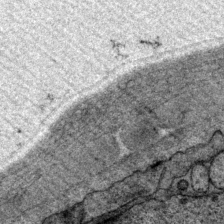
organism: P. pacificus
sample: Pharynx